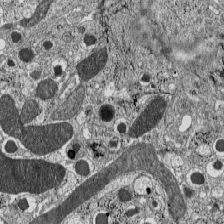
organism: C57BL Mouse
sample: Pancreatic islet